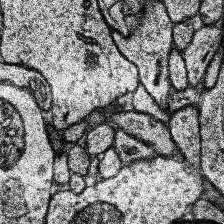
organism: Human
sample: Temporal Lobe